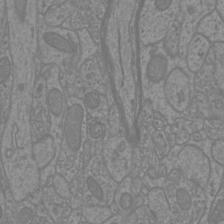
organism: Mouse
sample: Cortical neurons